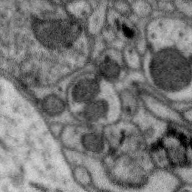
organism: Zebra finch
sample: Brain